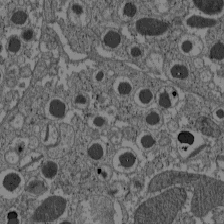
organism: C57BL Mouse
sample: Pancreatic islet